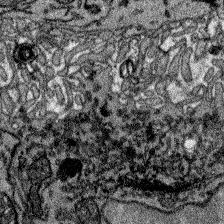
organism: Zebrafish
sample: Larval olfactory bulb